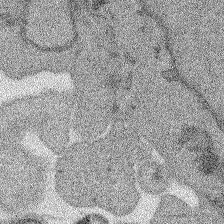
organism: Human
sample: HeLa cells